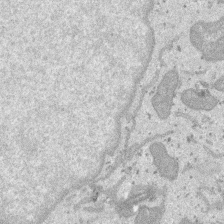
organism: Human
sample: Lung epithelial cells infected with SARS-CoV-2